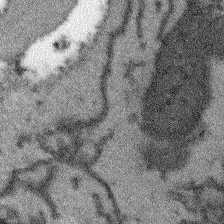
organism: Arabidopsis thaliana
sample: Root tip